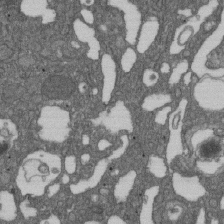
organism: Drosophila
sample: Nephrocyte